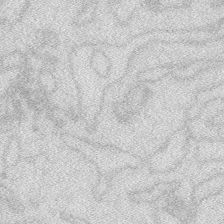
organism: Zebrafish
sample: Macrophage